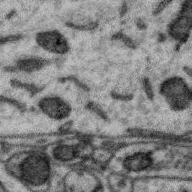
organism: Zebra finch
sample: Brain